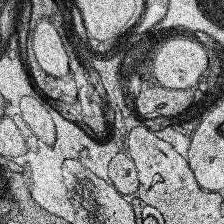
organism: Human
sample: Temporal Lobe